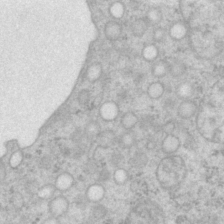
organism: P. pacificus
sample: Pharynx